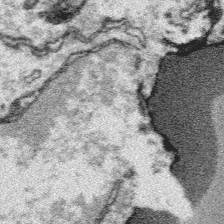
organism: Platynereis dumerilii